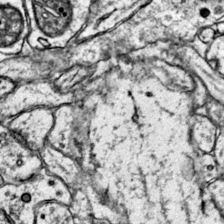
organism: Mouse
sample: Primary visual cortex